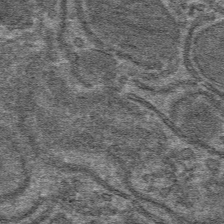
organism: Mouse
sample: Mouse hepatocytes